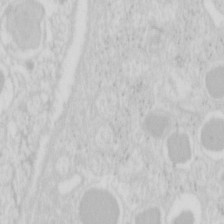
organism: Mouse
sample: Pancreas